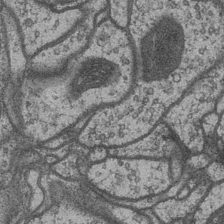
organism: Drosophila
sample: Optic medulla